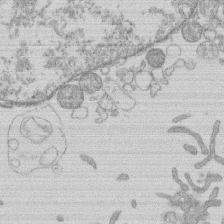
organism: Human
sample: Macrophage cells